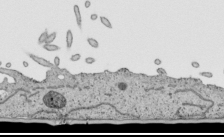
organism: Human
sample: Mitochondria in HCT116 cells